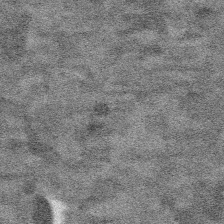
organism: Platynereis dumerilii